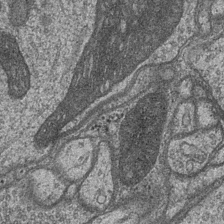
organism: Drosophila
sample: Optic medulla